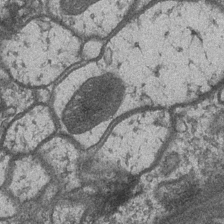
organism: Drosophila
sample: Optic medulla